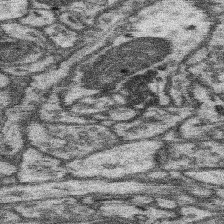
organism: Mouse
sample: Somatosensory cortex neuropil